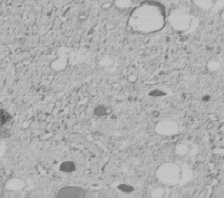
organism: C. elegans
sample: C. elegans embryo early stage